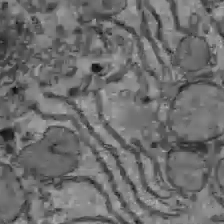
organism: C57BL Mouse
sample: Liver